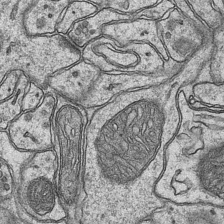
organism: Mouse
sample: CA1 Hippocampus